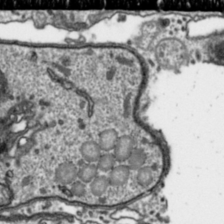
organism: Toxoplasma gondii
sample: Parasites in a vacuole inside a host cell